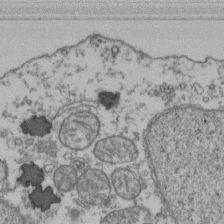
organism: Human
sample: Activated Jurkat CD4+ T cells